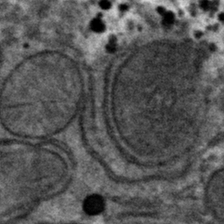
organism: Mouse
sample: Mouse hepatocytes